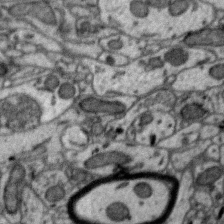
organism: Zebra finch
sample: Brain